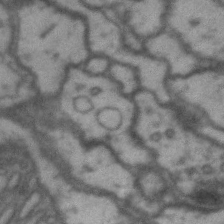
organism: Drosophila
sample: Brain